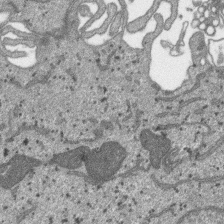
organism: Human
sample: Lung epithelial cells infected with SARS-CoV-2